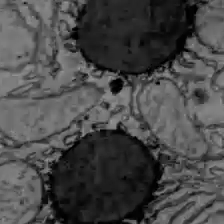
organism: C57BL Mouse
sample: Liver